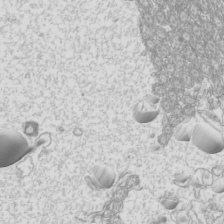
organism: Mouse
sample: Cilia; mouse epididymis